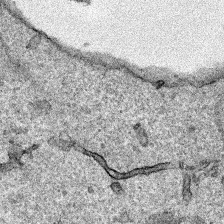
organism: Human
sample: Mitochondria in HCT116 cells